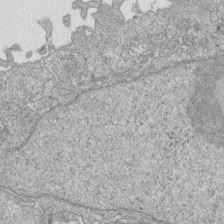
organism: Human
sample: HeLa cell HIV synapse